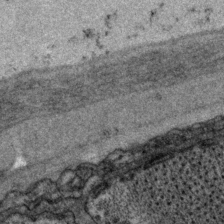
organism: P. pacificus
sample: Pharynx